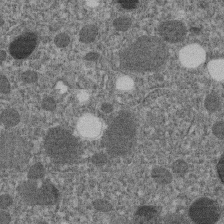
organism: C. elegans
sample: C. elegans embryo early stage